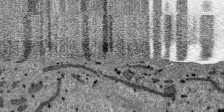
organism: Human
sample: Lung epithelial cells, uninfected (mock) control